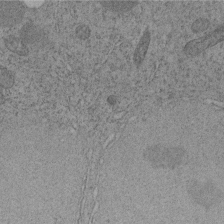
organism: C. elegans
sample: C. elegans embryo early stage